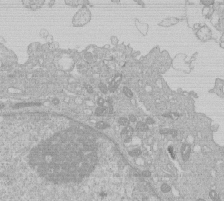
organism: Human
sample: Macrophage cells